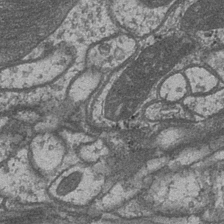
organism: Drosophila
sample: Optic medulla